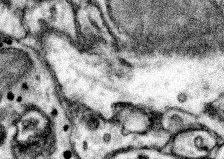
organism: Mouse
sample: Somatosensory cortex neuropil